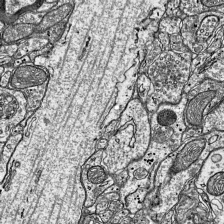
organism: Mouse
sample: Visual Cortex